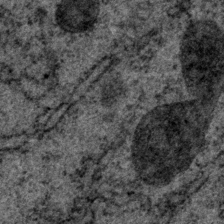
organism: P. pacificus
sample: Pharynx